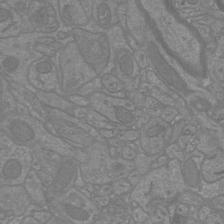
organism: Mouse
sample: Cortical neurons